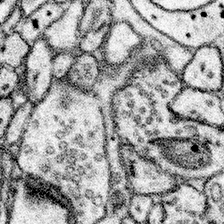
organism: Mouse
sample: Somatosensory cortex neuropil